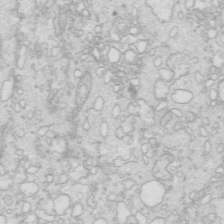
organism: Mouse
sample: Multiciliated cells